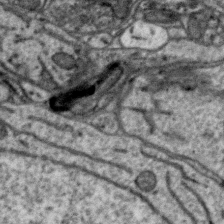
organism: Zebra finch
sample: Brain